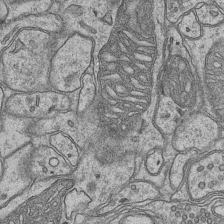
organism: Mouse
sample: CA1 Hippocampus